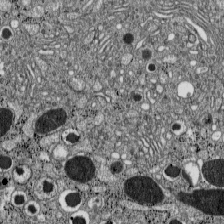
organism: C57BL Mouse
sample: Pancreatic islet